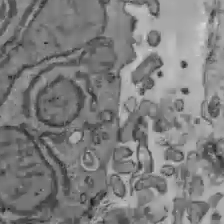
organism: C57BL Mouse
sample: Liver